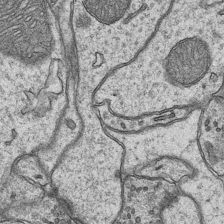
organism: Mouse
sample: CA1 Hippocampus